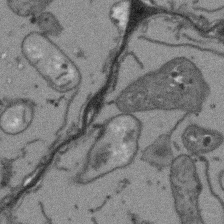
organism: Arabidopsis thaliana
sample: Root tip